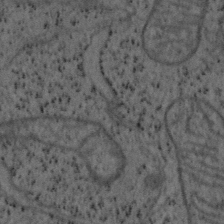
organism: Human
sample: HeLa cells